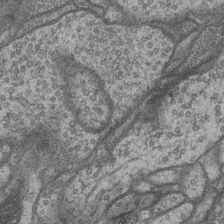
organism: Drosophila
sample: Optic medulla